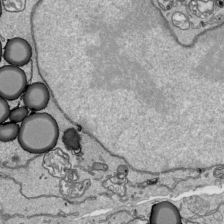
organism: Human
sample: Mitochondria in HCT116 cells